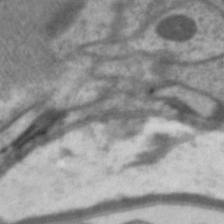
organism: C. elegans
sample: Pharynx